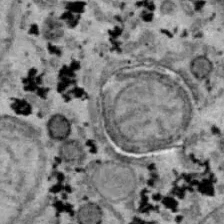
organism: Mouse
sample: Liver from an obese (ob/ob) mouse